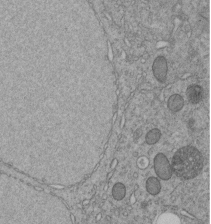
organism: C. elegans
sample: C. elegans embryo early stage